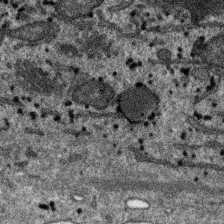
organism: Human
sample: Lung epithelial cells infected with SARS-CoV-2